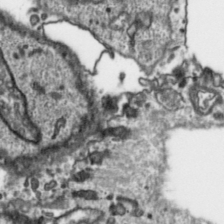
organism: Toxoplasma gondii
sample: Parasites in a vacuole inside a host cell